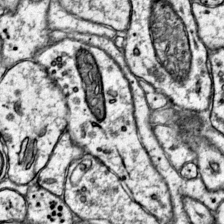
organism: Mouse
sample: Primary visual cortex